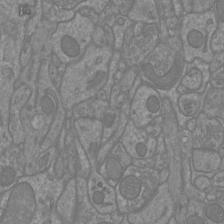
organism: Mouse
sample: Cortical neurons